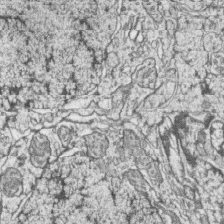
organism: Zebrafish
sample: synaptic ribbons in rod cells and cone cells